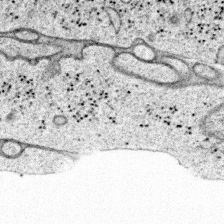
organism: Human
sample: HeLa cells